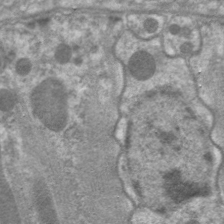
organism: C. elegans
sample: Pharynx